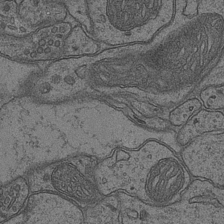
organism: Mouse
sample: CA1 Hippocampus